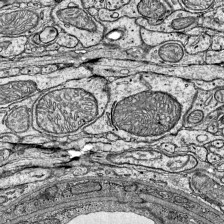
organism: Mouse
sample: Visual Cortex